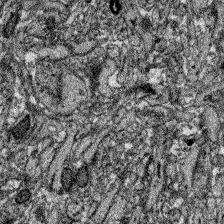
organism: Zebrafish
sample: Larval olfactory bulb